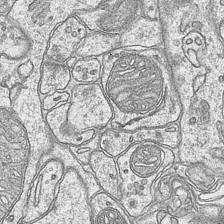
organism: Mouse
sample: CA1 Hippocampus